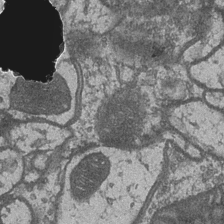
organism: Drosophila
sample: Optic medulla